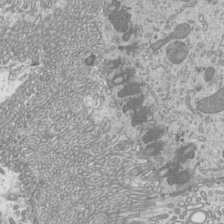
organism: Mouse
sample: Cilia; mouse epididymis